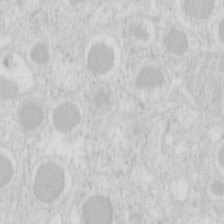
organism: Mouse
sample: Pancreas